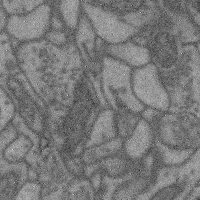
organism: Mouse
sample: Cerebral cortex